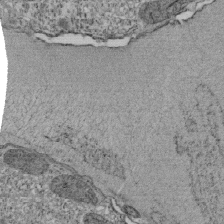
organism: Tetrahymena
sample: Cilia in tetrahymena